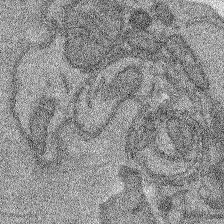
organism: Human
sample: HeLa cells